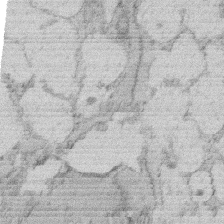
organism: Rat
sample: Salivary granule